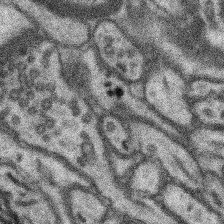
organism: Mouse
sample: Somatosensory cortex neuropil